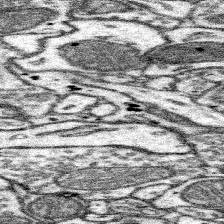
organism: Mouse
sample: Somatosensory cortex neuropil